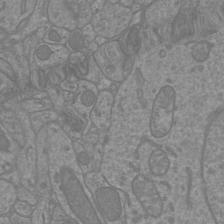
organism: Mouse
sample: Cortical neurons